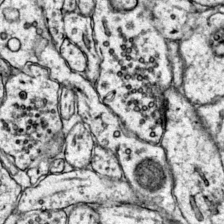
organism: Mouse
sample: Primary visual cortex